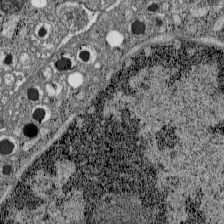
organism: C57BL Mouse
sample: Pancreatic islet